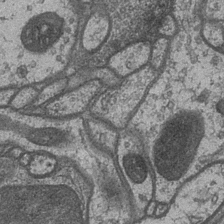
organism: Drosophila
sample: Optic medulla